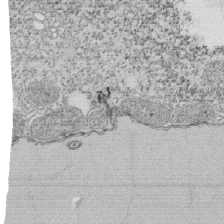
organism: Tetrahymena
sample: Cilia in tetrahymena